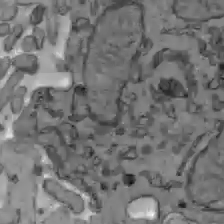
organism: C57BL Mouse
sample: Liver